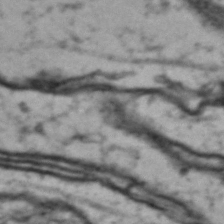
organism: Drosophila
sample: Brain